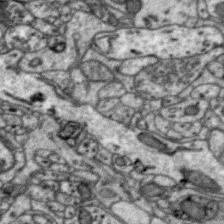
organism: Zebra finch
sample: Brain